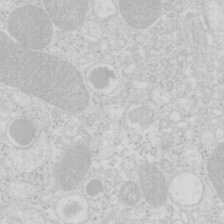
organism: Mouse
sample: Pancreas